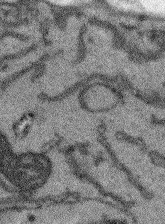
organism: Arabidopsis thaliana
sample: Root tip